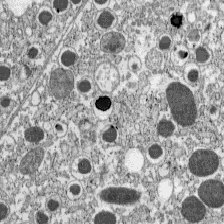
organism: C57BL Mouse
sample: Pancreatic islet